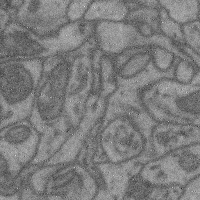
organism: Mouse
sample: Cerebral cortex